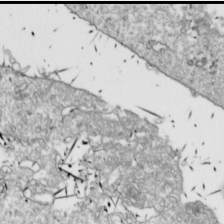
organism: Drosophila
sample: Cell division; meiosis; drosophila spermatocytes